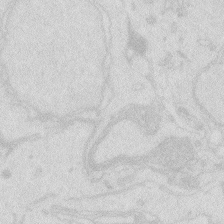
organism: Zebrafish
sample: Macrophage